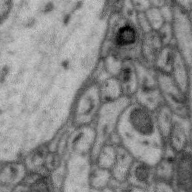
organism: Zebra finch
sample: Brain